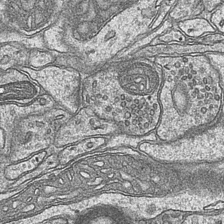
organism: Mouse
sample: CA1 Hippocampus